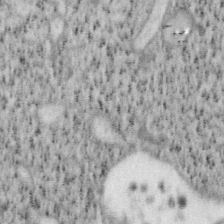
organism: Mouse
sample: OT-I killer T cells with ID8 ovarian cancer cells